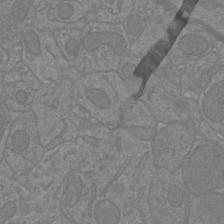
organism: Mouse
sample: Cortical neurons